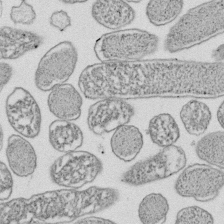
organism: E. coli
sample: Bacterial nucleoid